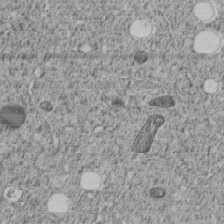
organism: C. elegans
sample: C. elegans embryo early stage